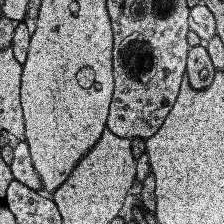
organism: Human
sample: Temporal Lobe